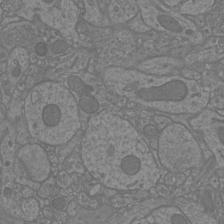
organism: Mouse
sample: Cortical neurons